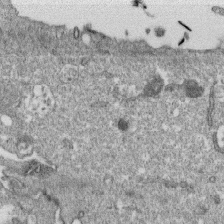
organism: African green monkey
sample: Vero E6 cells infected with SARS-CoV-2